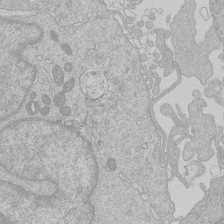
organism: Human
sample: Macrophage cells